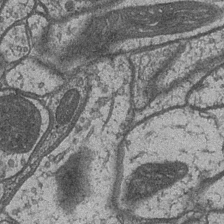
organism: Drosophila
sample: Optic medulla